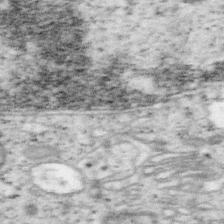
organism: Mouse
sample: OT-I killer T cells with ID8 ovarian cancer cells